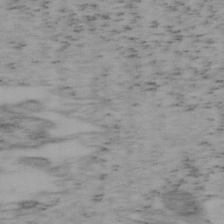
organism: Mouse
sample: OT-I killer T cells with ID8 ovarian cancer cells